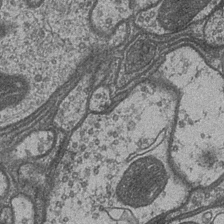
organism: Drosophila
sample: Optic medulla